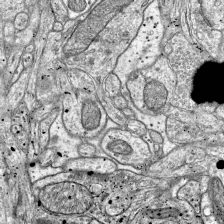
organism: Mouse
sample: Visual Cortex